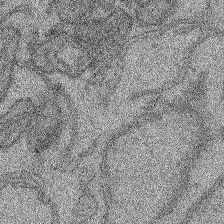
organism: Human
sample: HeLa cells